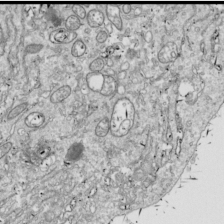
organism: Drosophila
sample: Cell division; meiosis; drosophila spermatocytes